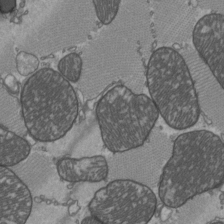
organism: C57BL Mouse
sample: Heart